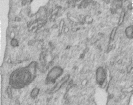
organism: Human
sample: Centriole in RPE cells